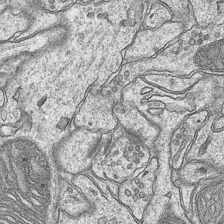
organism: Mouse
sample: CA1 Hippocampus